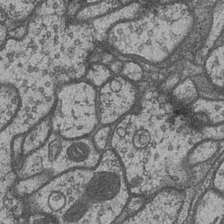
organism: Drosophila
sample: Optic medulla